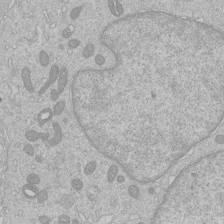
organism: Human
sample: Macrophage cells